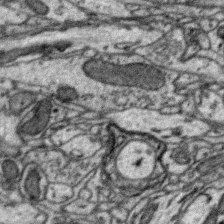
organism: Zebra finch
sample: Brain